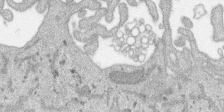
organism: Human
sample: Lung epithelial cells infected with SARS-CoV-2